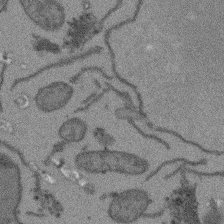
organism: Arabidopsis thaliana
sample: Root tip